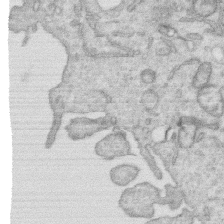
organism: Human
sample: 1205lu cells